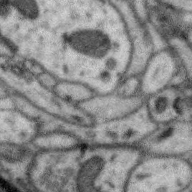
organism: Zebra finch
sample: Brain